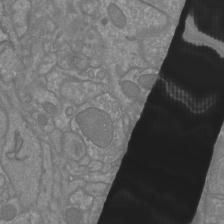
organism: Mouse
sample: Cortical neurons